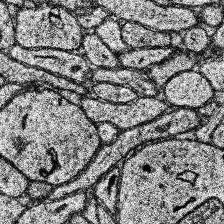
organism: Human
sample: Temporal Lobe